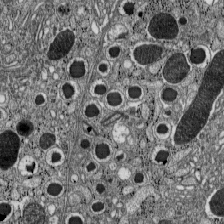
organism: C57BL Mouse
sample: Pancreatic islet